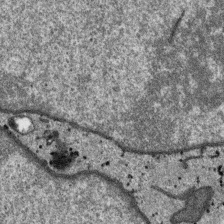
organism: Human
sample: Lung epithelial cells, uninfected (mock) control